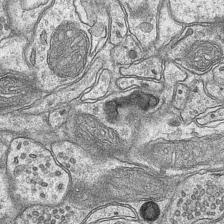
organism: Mouse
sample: CA1 Hippocampus